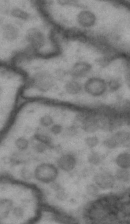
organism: Drosophila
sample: Brain